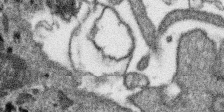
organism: Human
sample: Lung epithelial cells infected with SARS-CoV-2